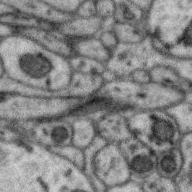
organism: Zebra finch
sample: Brain